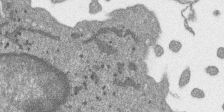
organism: Human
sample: Lung epithelial cells infected with SARS-CoV-2